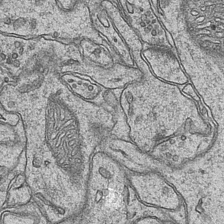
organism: Mouse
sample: CA1 Hippocampus